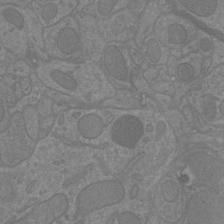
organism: Mouse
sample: Cortical neurons